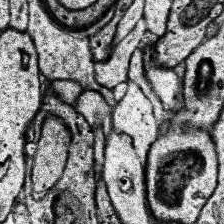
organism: Human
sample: Temporal Lobe